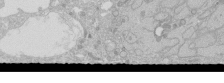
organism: Human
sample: Caco-2 cells